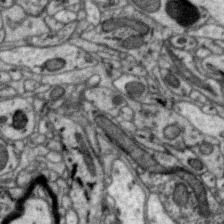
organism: Zebra finch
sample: Brain